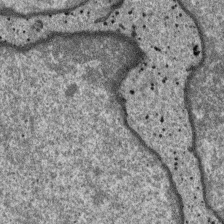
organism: Human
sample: Lung epithelial cells, uninfected (mock) control